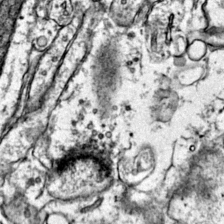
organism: Mouse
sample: Primary visual cortex